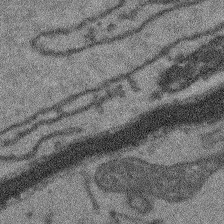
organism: Arabidopsis thaliana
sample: Root tip